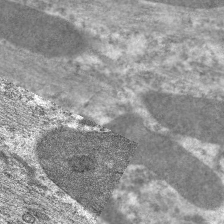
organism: C. elegans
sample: Pharynx